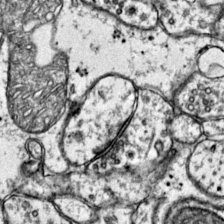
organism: Mouse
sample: Primary visual cortex